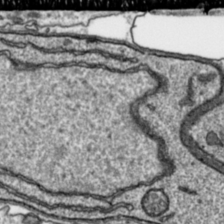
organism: Toxoplasma gondii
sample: Parasites in a vacuole inside a host cell